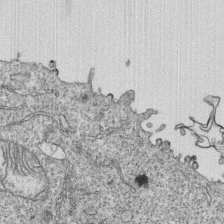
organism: Human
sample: HeLa cell HIV synapse